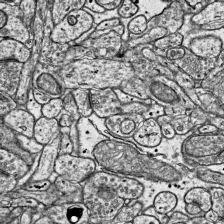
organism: Mouse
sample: Visual Cortex